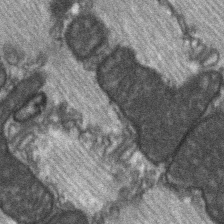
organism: C57BL Mouse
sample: Soleus